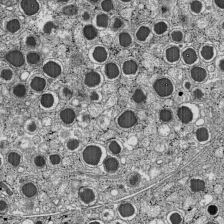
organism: C57BL Mouse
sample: Pancreatic islet